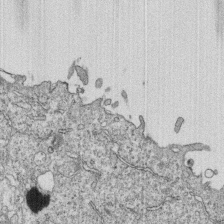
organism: Human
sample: HeLa cell HIV synapse